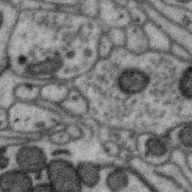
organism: Zebra finch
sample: Brain